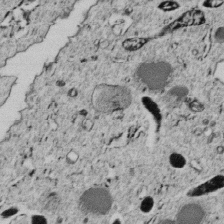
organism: C. elegans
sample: C. elegans embryo early stage